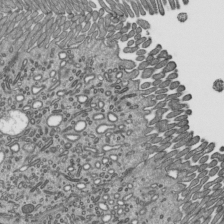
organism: Mouse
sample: Mouse epididymis efferent ductule cilia